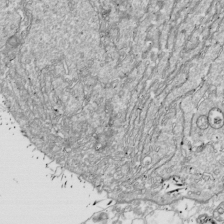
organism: Drosophila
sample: Cell division; meiosis; drosophila spermatocytes